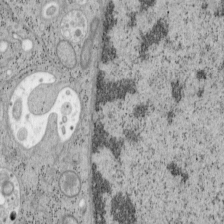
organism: Mouse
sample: OT-I killer T cells with ID8 ovarian cancer cells